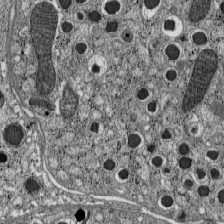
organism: C57BL Mouse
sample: Pancreatic islet